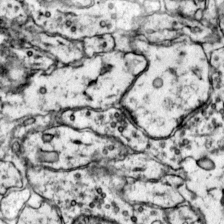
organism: Mouse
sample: Primary visual cortex